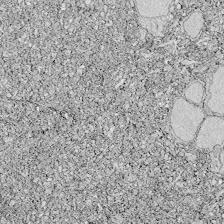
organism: Zebrafish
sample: Whole-Brain